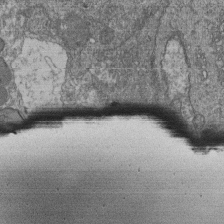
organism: Human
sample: Retinal organoid Rod and Cone cells